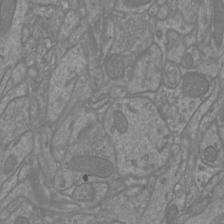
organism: Mouse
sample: Cortical neurons